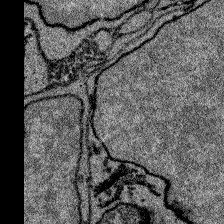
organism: Zebrafish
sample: Larval olfactory bulb